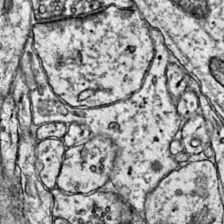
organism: Mouse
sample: Primary visual cortex